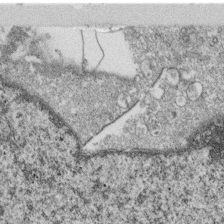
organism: African green monkey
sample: Vero E6 cells infected with SARS-CoV-2